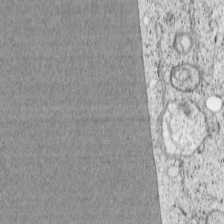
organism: African green monkey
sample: COS-7 cells